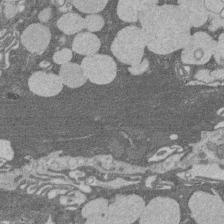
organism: Rat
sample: Salivary granule